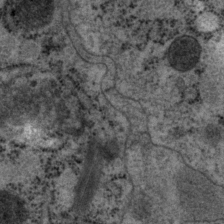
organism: P. pacificus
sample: Pharynx